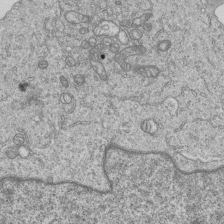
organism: Human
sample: MDA-MB-231 cells